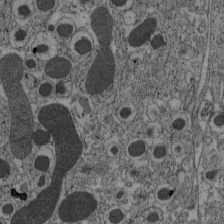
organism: C57BL Mouse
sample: Pancreatic islet